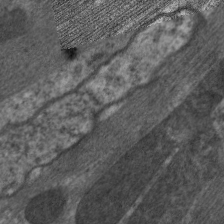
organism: C. elegans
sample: Pharynx